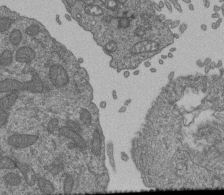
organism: Human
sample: Retinal organoid Rod and Cone cells